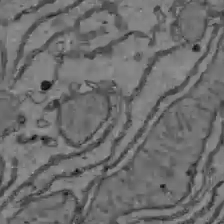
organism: C57BL Mouse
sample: Liver